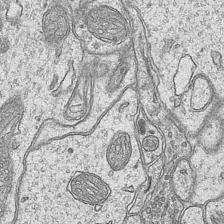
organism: Mouse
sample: CA1 Hippocampus